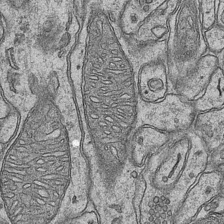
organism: Mouse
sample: CA1 Hippocampus